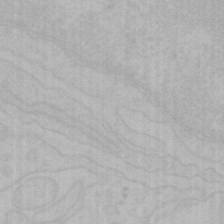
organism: Mouse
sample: Choroid plexus